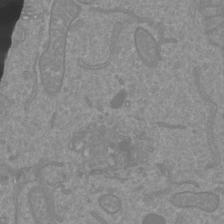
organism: Mouse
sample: Cortical neurons